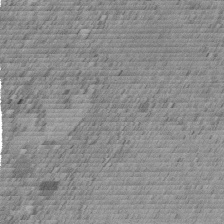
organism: C. elegans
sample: C. elegans embryo early stage